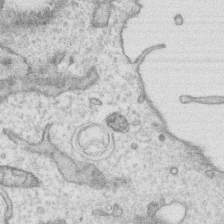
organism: Human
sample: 1205lu cells